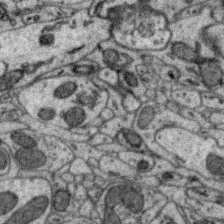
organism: Zebra finch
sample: Brain